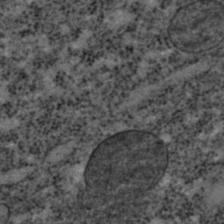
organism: C. elegans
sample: C. elegans embryo